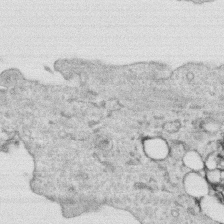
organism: Human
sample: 1205lu cells